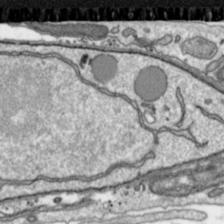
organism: Toxoplasma gondii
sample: Parasites in a vacuole inside a host cell